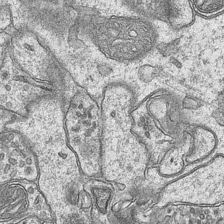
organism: Mouse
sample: CA1 Hippocampus